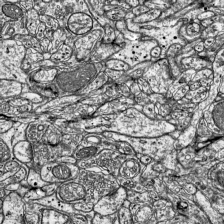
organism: Mouse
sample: Visual Cortex